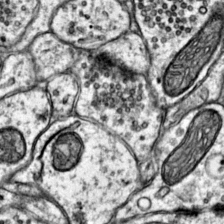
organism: Mouse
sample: Primary visual cortex